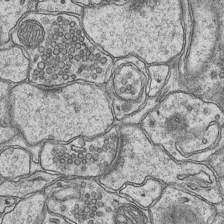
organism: Mouse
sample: CA1 Hippocampus